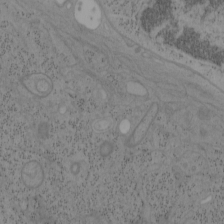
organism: Mouse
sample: OT-I killer T cells with ID8 ovarian cancer cells